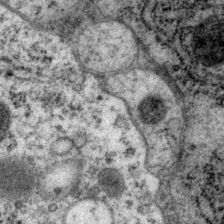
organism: P. pacificus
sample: Pharynx